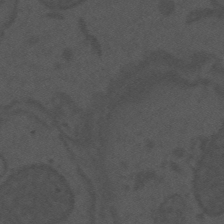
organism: Mouse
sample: Suprachiasmatic nucleus